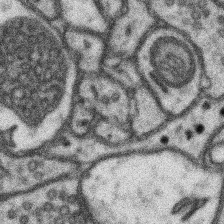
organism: Mouse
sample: Somatosensory cortex neuropil